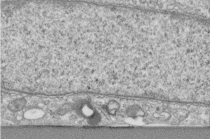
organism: Human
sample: Centriole in fibroblast cells